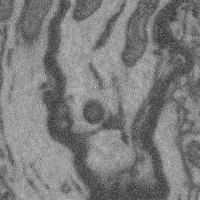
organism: Mouse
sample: Cerebral cortex